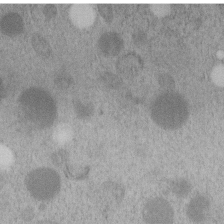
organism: C. elegans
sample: C. elegans embryo early stage